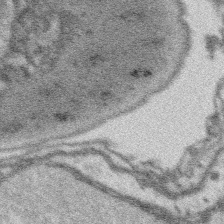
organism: Platynereis dumerilii